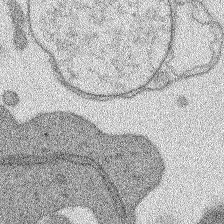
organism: Human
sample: HeLa cells